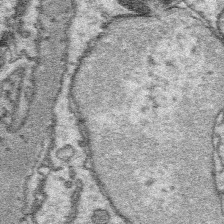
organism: Platynereis dumerilii